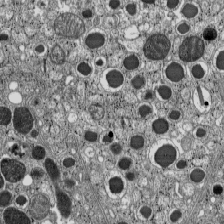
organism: C57BL Mouse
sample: Pancreatic islet